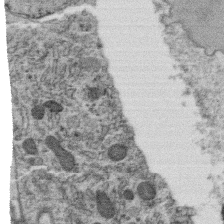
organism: C. elegans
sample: C. elegans oocyte; sperm cells